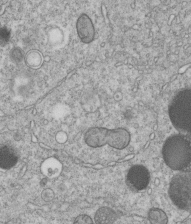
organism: C. elegans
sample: C. elegans embryo early stage